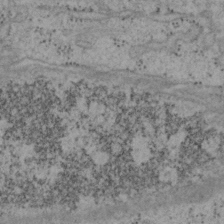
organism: Human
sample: HeLa cells